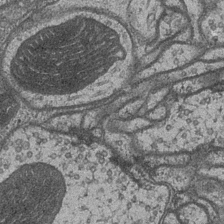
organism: Drosophila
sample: Optic medulla